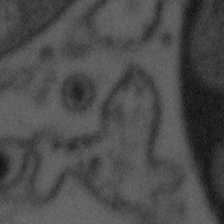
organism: Tuwongella immobilis